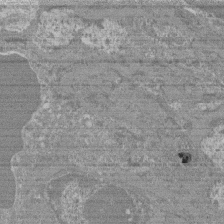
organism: Mouse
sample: Glomerulus